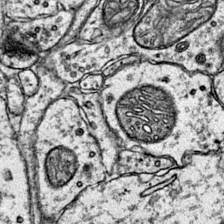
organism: Mouse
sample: Primary visual cortex